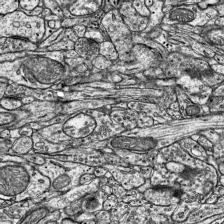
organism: Mouse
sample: Visual Cortex